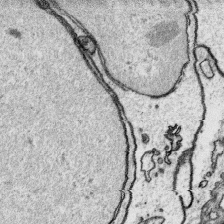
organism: Platynereis dumerilii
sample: Parapodia